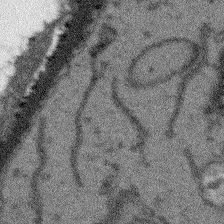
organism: Arabidopsis thaliana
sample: Root tip